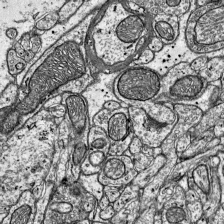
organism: Mouse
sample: Visual Cortex